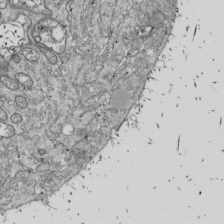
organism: Drosophila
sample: Cell division; meiosis; drosophila spermatocytes